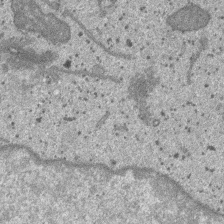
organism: Human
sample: Lung epithelial cells infected with SARS-CoV-2